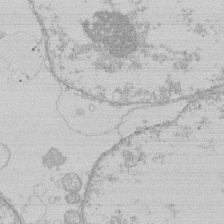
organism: Human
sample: Macrophage cells